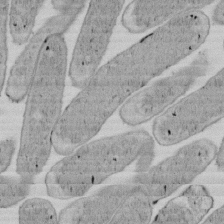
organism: E. coli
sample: Bacterial nucleoid